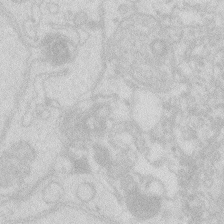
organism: Zebrafish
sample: Macrophage